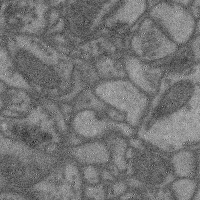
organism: Mouse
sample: Cerebral cortex